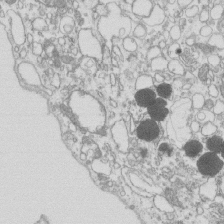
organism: Mouse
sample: Macrophages